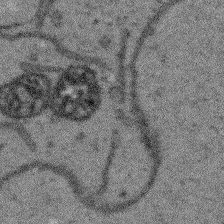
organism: Arabidopsis thaliana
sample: Root tip